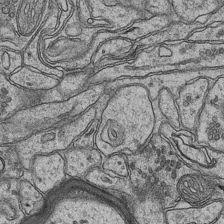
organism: Mouse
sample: CA1 Hippocampus